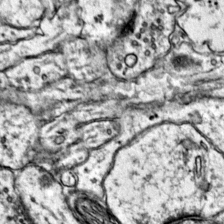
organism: Mouse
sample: Primary visual cortex